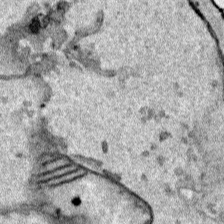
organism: Human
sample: Mitochondria in HCT116 cells